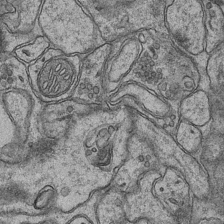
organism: Mouse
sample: CA1 Hippocampus